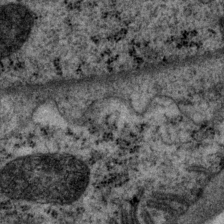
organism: P. pacificus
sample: Pharynx